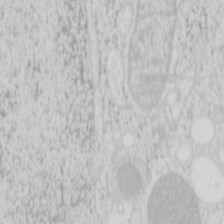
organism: Mouse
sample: Pancreas